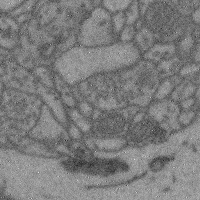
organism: Mouse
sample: Cerebral cortex